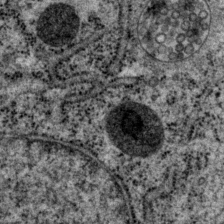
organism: P. pacificus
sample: Pharynx